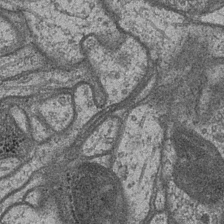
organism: Drosophila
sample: Optic medulla